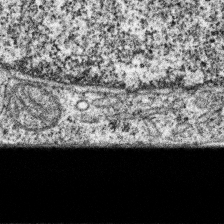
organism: Human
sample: HeLa cells